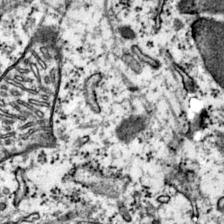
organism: Mouse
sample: Primary visual cortex